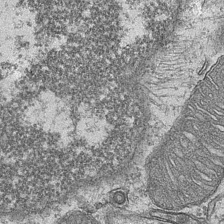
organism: Mouse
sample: CA1 Hippocampus